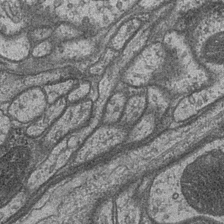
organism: Drosophila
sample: Optic medulla